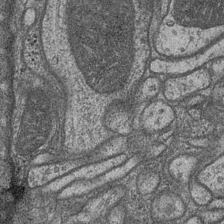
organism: Drosophila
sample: Optic medulla